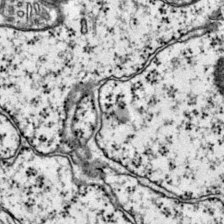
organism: Mouse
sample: Primary visual cortex